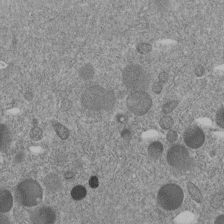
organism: C. elegans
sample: C. elegans embryo early stage